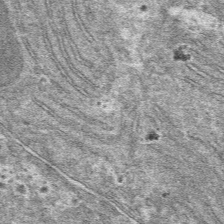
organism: Mouse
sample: Mouse hepatocytes